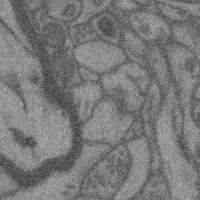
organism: Mouse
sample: Cerebral cortex